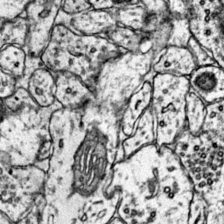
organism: Mouse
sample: Primary visual cortex